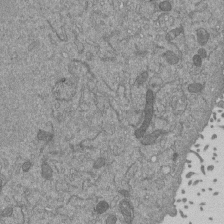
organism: Mouse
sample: ED-1 cell nuclei; centrioles